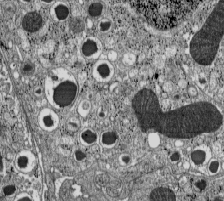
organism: C57BL Mouse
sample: Pancreatic islet